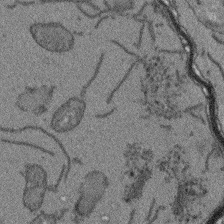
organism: Arabidopsis thaliana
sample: Root tip